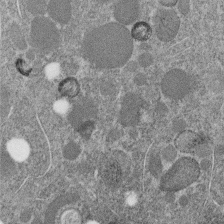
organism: C. elegans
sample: C. elegans embryo early stage